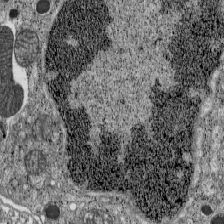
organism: C57BL Mouse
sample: Pancreatic islet